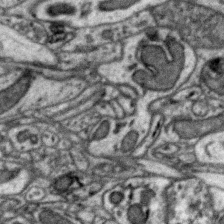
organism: Zebra finch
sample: Brain